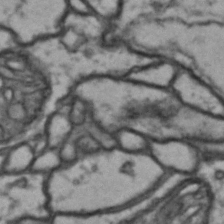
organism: Drosophila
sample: Brain